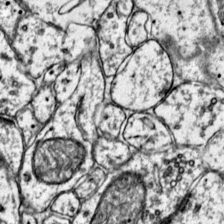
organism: Mouse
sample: Primary visual cortex